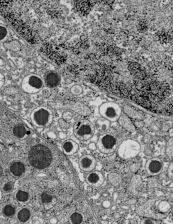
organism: C57BL Mouse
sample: Pancreatic islet